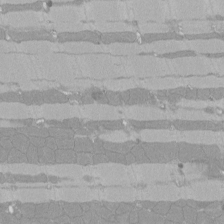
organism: Rat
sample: Left ventricle